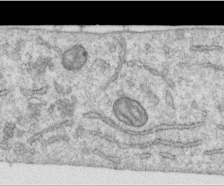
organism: Human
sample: Centriole in RPE cells